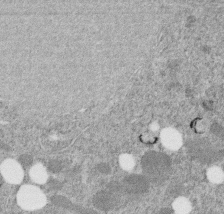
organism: C. elegans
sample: C. elegans embryo early stage